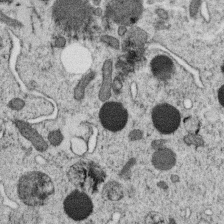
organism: C. elegans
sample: C. elegans oocyte; sperm cells